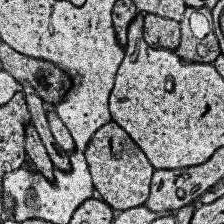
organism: Human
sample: Temporal Lobe